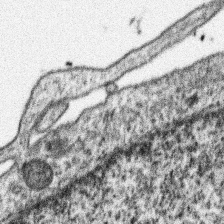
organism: Human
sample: HeLa cells